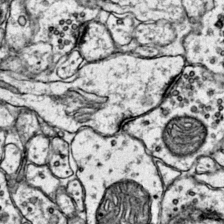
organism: Mouse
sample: Primary visual cortex